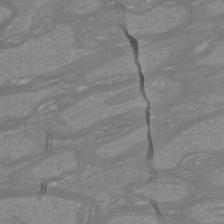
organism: Mouse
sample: Cortical neurons